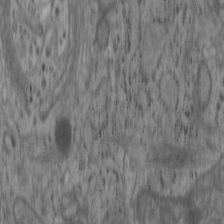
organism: Human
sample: HeLa cells